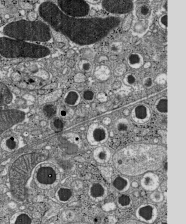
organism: C57BL Mouse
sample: Pancreatic islet